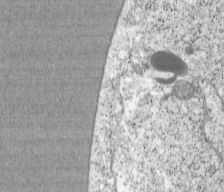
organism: African green monkey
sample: COS-7 cells